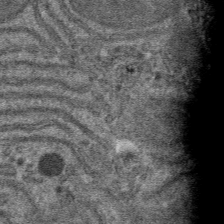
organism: Mouse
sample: Mouse hepatocytes